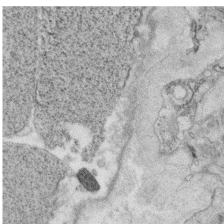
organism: C. elegans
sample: C. elegans oocyte; sperm cells